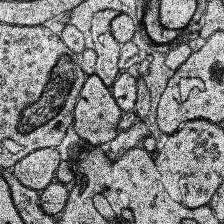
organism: Human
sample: Temporal Lobe